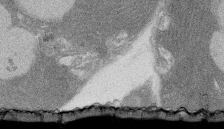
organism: Rat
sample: Salivary granule